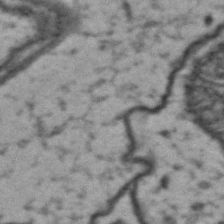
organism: Drosophila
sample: Brain